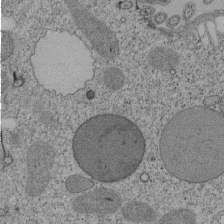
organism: Tetrahymena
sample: Cilia in tetrahymena